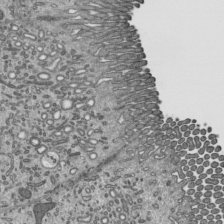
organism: Mouse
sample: Mouse epididymis efferent ductule cilia